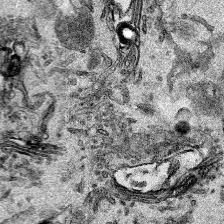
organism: Mouse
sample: Cancer cell death in ED-1 cells